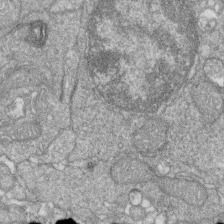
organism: Zebrafish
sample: Cilia; retinal pigment epithelium